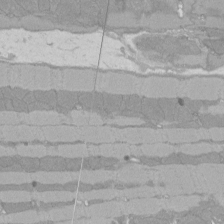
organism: Rat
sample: Left ventricle